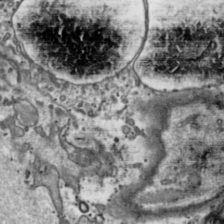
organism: Toxoplasma gondii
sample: Parasites in a vacuole inside a host cell